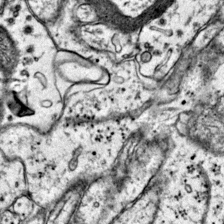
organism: Mouse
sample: Primary visual cortex